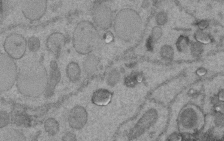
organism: C. elegans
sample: C. elegans embryo early stage